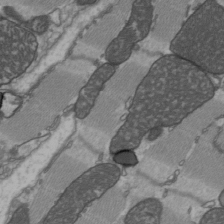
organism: C57BL Mouse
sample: Heart